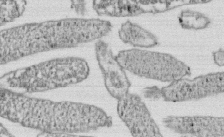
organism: E. coli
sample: Bacterial nucleoid